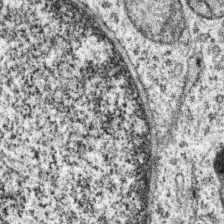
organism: Human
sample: HeLa cells